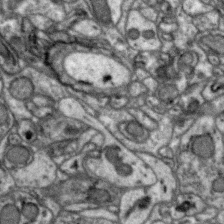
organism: Zebra finch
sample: Brain